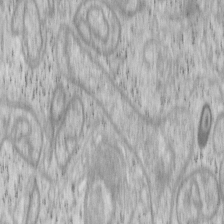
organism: Human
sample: HeLa cells